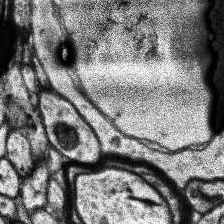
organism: Human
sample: Temporal Lobe